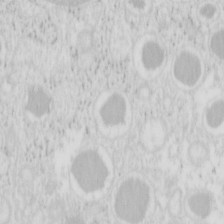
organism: Mouse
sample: Pancreas